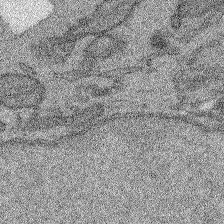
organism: Human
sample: HeLa cells